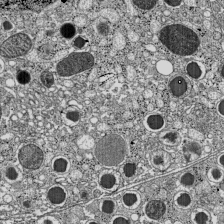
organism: C57BL Mouse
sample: Pancreatic islet